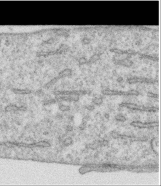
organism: Human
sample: Centriole in RPE cells